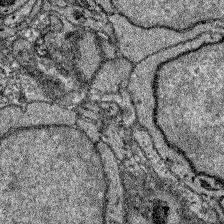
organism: Zebrafish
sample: Larval olfactory bulb